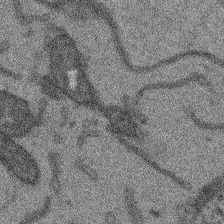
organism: Arabidopsis thaliana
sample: Root tip